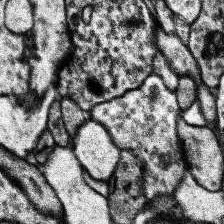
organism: Human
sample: Temporal Lobe